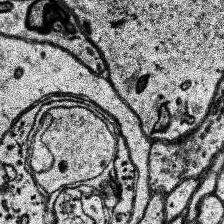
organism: Human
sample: Temporal Lobe